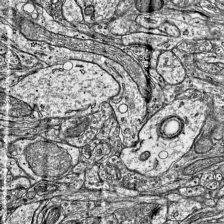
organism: Mouse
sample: Visual Cortex